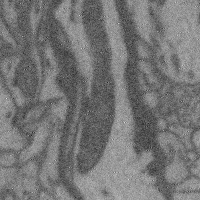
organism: Mouse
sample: Cerebral cortex